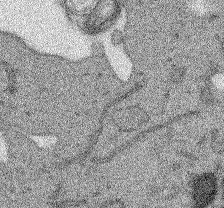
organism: Human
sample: HeLa cells